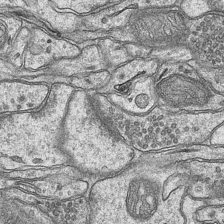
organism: Mouse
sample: CA1 Hippocampus